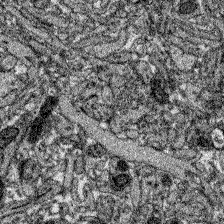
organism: Zebrafish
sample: Larval olfactory bulb